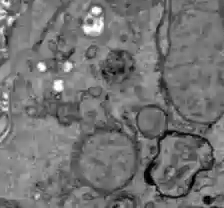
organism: C57BL Mouse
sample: Liver